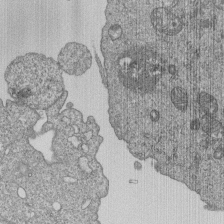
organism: Human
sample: MDA-MB-231 cells